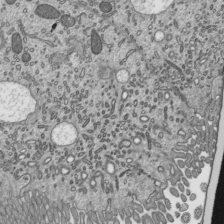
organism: Mouse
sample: Mouse epididymis efferent ductule cilia